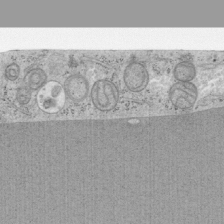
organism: Human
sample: HeLa cells